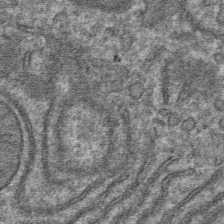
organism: Mouse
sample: Mouse hepatocytes